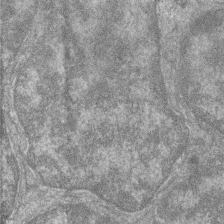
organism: Zebrafish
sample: Cilia; retinal pigment epithelium